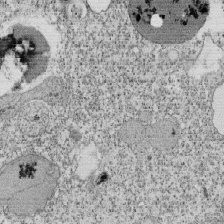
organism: Tetrahymena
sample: Cilia in tetrahymena